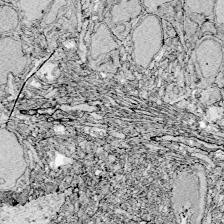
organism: Zebrafish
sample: Whole-Brain